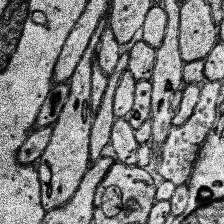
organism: Human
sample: Temporal Lobe